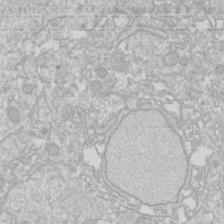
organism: Drosophila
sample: Cell division; meiosis; drosophila spermatocytes